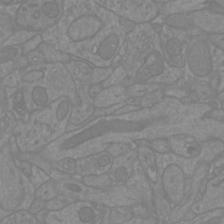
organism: Mouse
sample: Cortical neurons